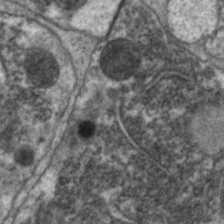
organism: C. elegans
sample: Pharynx